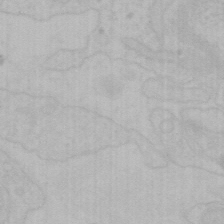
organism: Mouse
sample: Choroid plexus